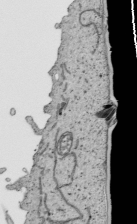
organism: Human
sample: Mitochondria in HCT116 cells